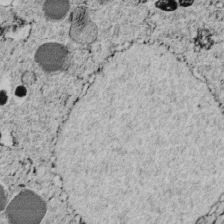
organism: C. elegans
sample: C. elegans embryo early stage